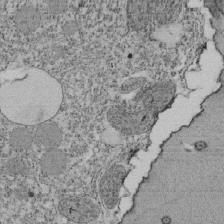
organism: Tetrahymena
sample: Cilia in tetrahymena